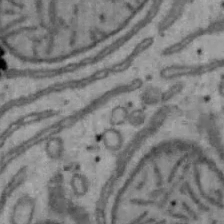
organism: Mouse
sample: Liver